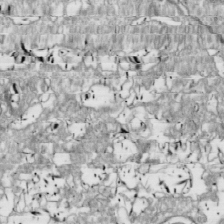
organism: Drosophila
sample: Cell division; meiosis; drosophila spermatocytes